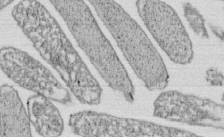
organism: E. coli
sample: Bacterial nucleoid